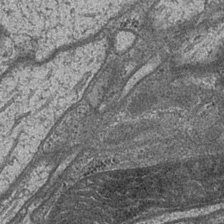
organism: Drosophila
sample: Optic medulla